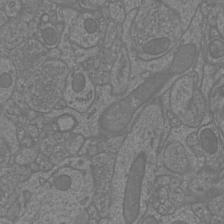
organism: Mouse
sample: Cortical neurons